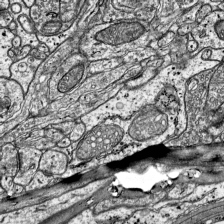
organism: Mouse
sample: Visual Cortex